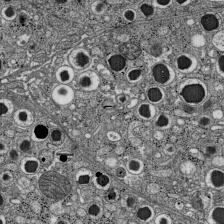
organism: C57BL Mouse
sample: Pancreatic islet